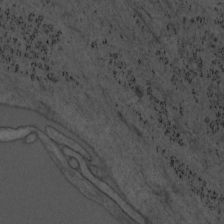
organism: Mouse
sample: OT-I killer T cells with ID8 ovarian cancer cells